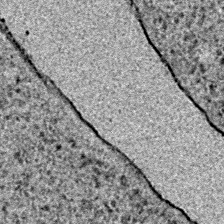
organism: E. coli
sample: E. Coli Bacteria